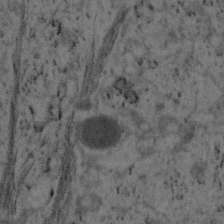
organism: Human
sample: HeLa cells